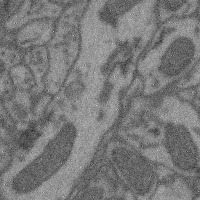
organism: Mouse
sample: Cerebral cortex